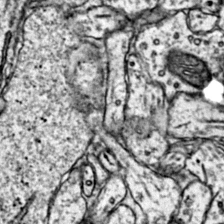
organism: Mouse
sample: Primary visual cortex